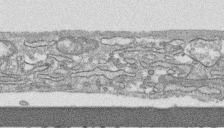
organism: Human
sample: CRL-1474